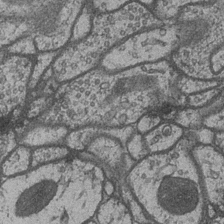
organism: Drosophila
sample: Optic medulla